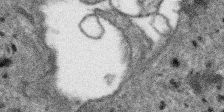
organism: Human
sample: Lung epithelial cells infected with SARS-CoV-2